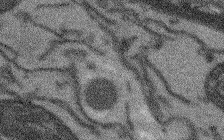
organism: Arabidopsis thaliana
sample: Root tip